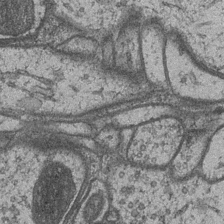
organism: Drosophila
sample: Optic medulla